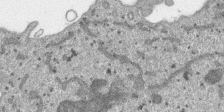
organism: Human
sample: Lung epithelial cells infected with SARS-CoV-2